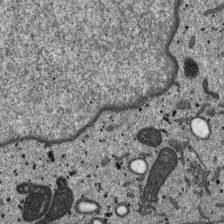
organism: Human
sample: Lung epithelial cells infected with SARS-CoV-2